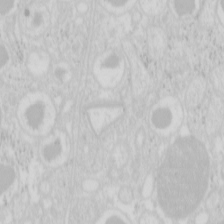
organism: Mouse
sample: Pancreas